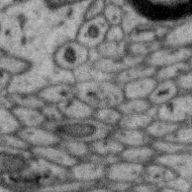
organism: Zebra finch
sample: Brain